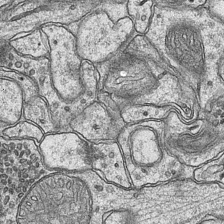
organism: Mouse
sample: CA1 Hippocampus